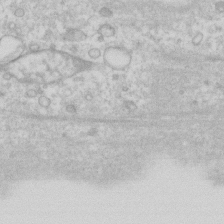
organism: Human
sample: Fibroblast cells